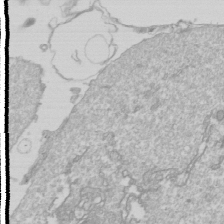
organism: Drosophila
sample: Cell division; meiosis; drosophila spermatocytes